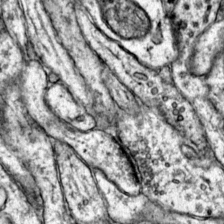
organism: Mouse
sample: Primary visual cortex